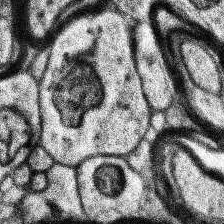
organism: Human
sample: Temporal Lobe